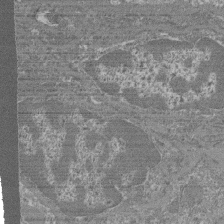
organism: Mouse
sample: Glomerulus